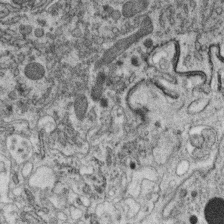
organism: C. elegans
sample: C. elegans oocyte; sperm cells